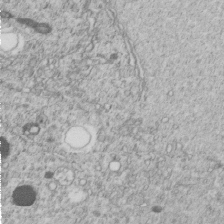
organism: C. elegans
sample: C. elegans embryo early stage